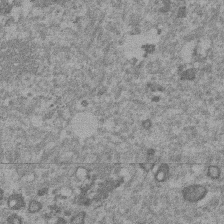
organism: Mouse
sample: Dividing mouse embryo 1 cell stage